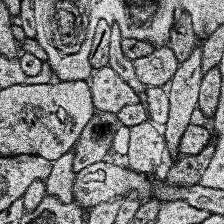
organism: Human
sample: Temporal Lobe